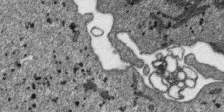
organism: Human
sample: Lung epithelial cells infected with SARS-CoV-2